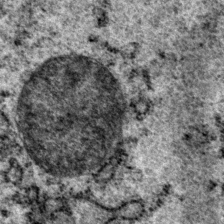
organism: P. pacificus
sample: Pharynx